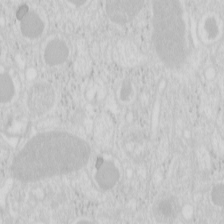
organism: Mouse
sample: Pancreas